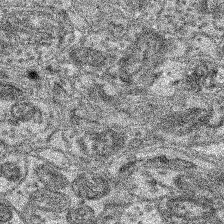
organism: Mouse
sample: Retina